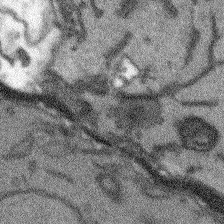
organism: Arabidopsis thaliana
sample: Root tip